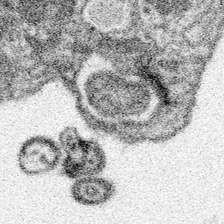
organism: Spongilla lacustris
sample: Neuroid cell